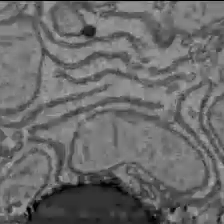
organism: C57BL Mouse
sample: Liver